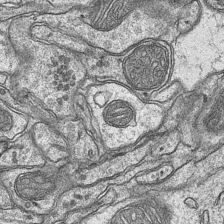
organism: Mouse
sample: CA1 Hippocampus